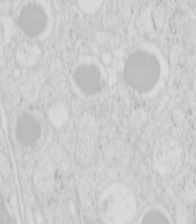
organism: Mouse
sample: Pancreas